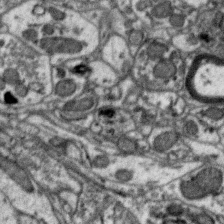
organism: Zebra finch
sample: Brain